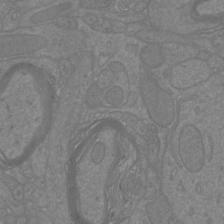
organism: Mouse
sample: Cortical neurons